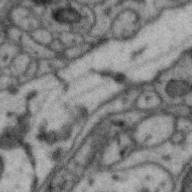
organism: Zebra finch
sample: Brain